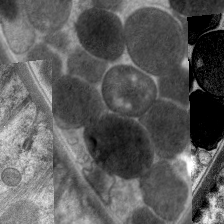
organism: C. elegans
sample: Pharynx